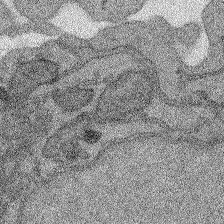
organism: Human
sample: HeLa cells